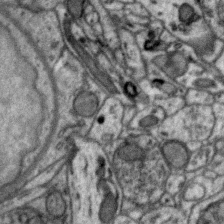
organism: Zebra finch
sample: Brain